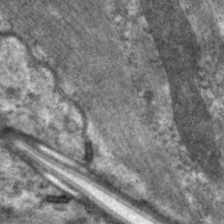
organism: C. elegans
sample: Pharynx